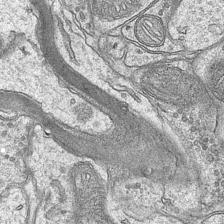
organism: Mouse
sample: CA1 Hippocampus